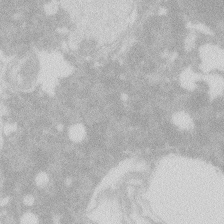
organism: Zebrafish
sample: Macrophage